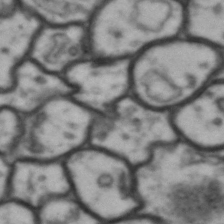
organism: Drosophila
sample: Brain